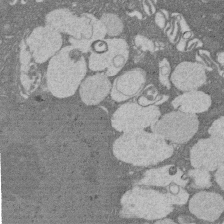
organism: Rat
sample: Salivary granule